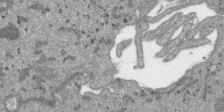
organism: Human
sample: Lung epithelial cells infected with SARS-CoV-2